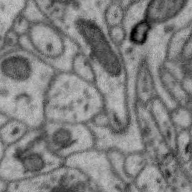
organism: Zebra finch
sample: Brain